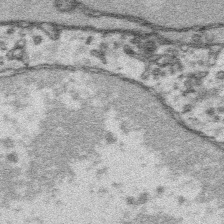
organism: Platynereis dumerilii